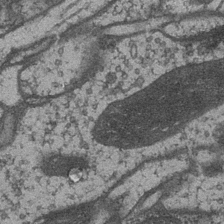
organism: Drosophila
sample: Optic medulla